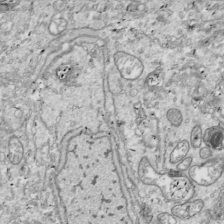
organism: Drosophila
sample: Cell division; meiosis; drosophila spermatocytes